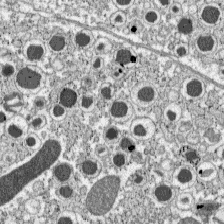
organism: C57BL Mouse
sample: Pancreatic islet